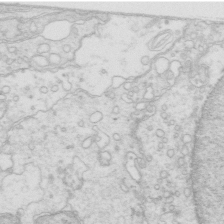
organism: Mouse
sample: Multiciliated cells